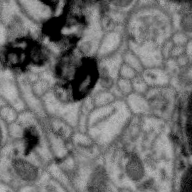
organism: Zebra finch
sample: Brain